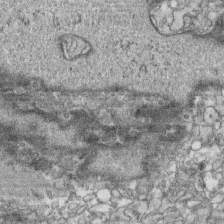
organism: Human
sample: CRL-1474